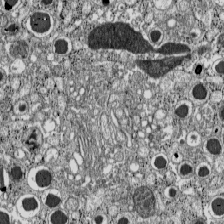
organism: C57BL Mouse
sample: Pancreatic islet